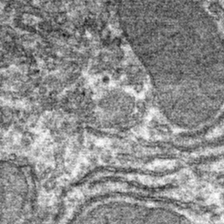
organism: Mouse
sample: Mouse hepatocytes